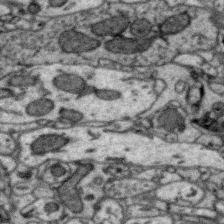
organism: Zebra finch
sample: Brain